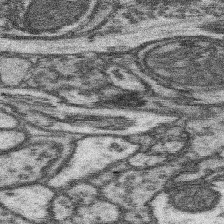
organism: Mouse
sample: Somatosensory cortex neuropil